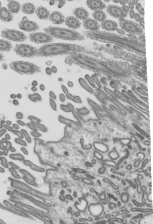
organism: Mouse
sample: Mouse epididymis efferent ductule cilia